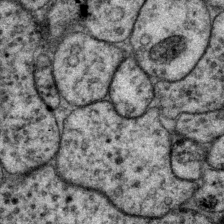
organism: P. pacificus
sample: Pharynx